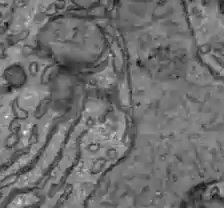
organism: C57BL Mouse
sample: Liver